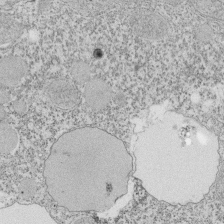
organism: Tetrahymena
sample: Cilia in tetrahymena